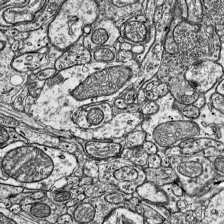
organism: Mouse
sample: Visual Cortex